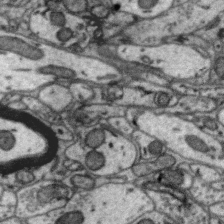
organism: Zebra finch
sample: Brain